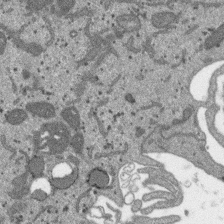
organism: Human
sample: Lung epithelial cells infected with SARS-CoV-2